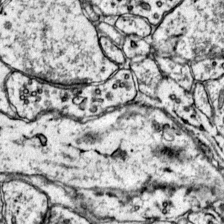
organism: Mouse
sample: Primary visual cortex